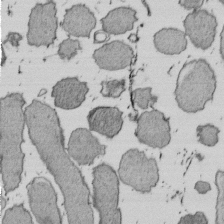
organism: E. coli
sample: Bacterial nucleoid